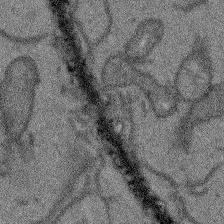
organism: Arabidopsis thaliana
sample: Root tip